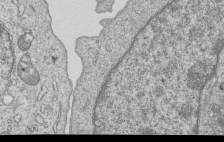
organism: Human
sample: MDA-MB-231 cells